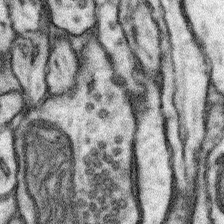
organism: Mouse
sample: Somatosensory cortex neuropil